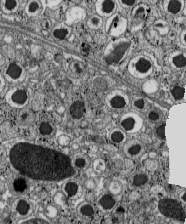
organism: C57BL Mouse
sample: Pancreatic islet